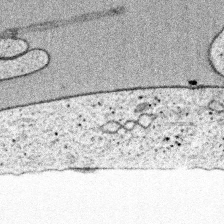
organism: Human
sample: HeLa cells